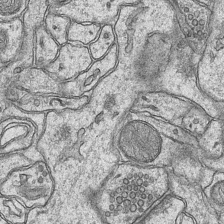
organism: Mouse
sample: CA1 Hippocampus